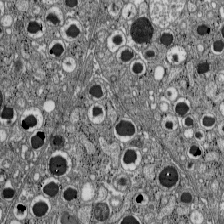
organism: C57BL Mouse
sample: Pancreatic islet